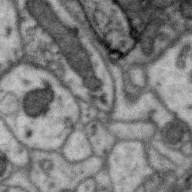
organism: Zebra finch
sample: Brain